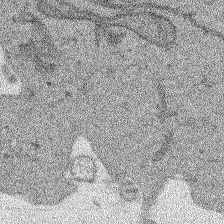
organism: Human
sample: HeLa cells